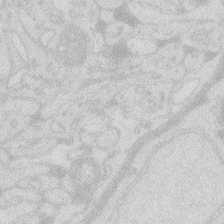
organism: Zebrafish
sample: Macrophage